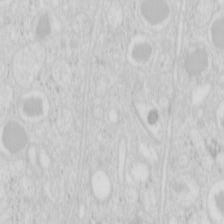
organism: Mouse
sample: Pancreas